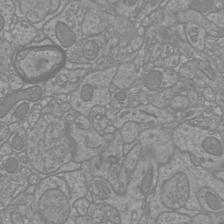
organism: Mouse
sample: Cortical neurons